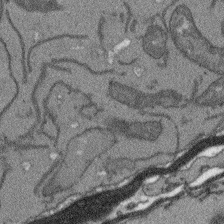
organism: Arabidopsis thaliana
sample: Root tip